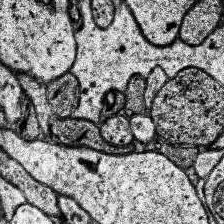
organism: Human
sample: Temporal Lobe